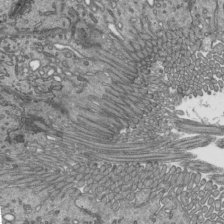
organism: Mouse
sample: Mouse epididymis efferent ductule cilia